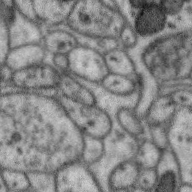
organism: Zebra finch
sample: Brain